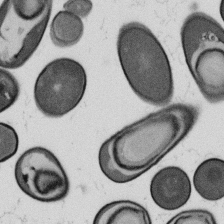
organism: B. subtilis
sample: Bacterial spore